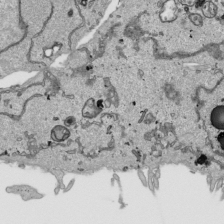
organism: Human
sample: Mitochondria in HCT116 cells